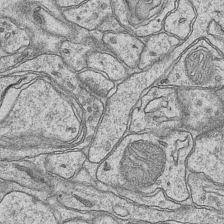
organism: Mouse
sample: CA1 Hippocampus